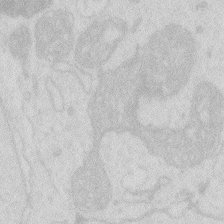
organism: Zebrafish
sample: Macrophage